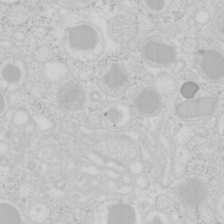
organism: Mouse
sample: Pancreas